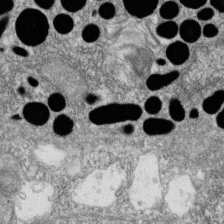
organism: Zebrafish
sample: Cilia; retinal pigment epithelium